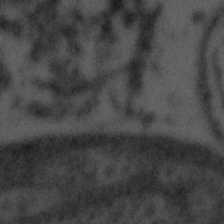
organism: Tuwongella immobilis